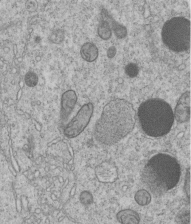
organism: C. elegans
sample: C. elegans embryo early stage